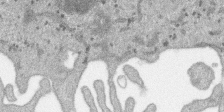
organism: Human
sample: Lung epithelial cells infected with SARS-CoV-2